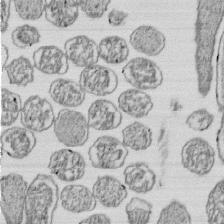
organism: E. coli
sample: Bacterial nucleoid